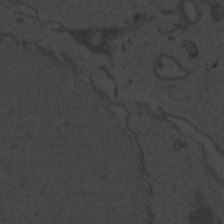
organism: Zebrafish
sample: Macrophage infected with Toxoplasma gondii